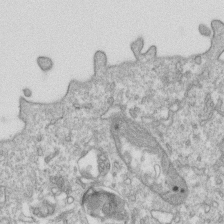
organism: Mouse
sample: Activated OT-1 CD8+ T cells